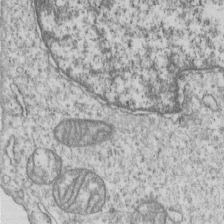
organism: Human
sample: MDA-MB-231 cells